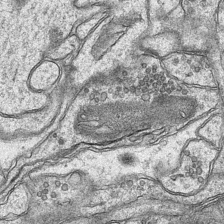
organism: Mouse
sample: CA1 Hippocampus